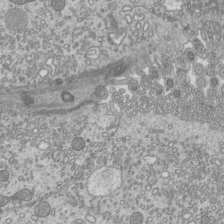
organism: Mouse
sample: Cilia; mouse epididymis